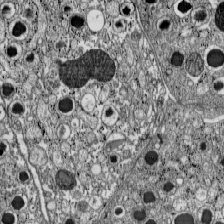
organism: C57BL Mouse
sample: Pancreatic islet